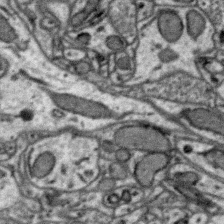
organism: Zebra finch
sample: Brain